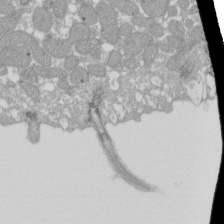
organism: Xenopus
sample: Cilia; centrioles in frog embryo cells